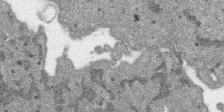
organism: Human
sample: Lung epithelial cells infected with SARS-CoV-2